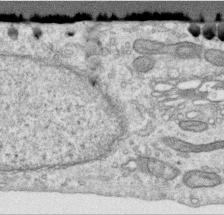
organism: Human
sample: Centriole in RPE cells